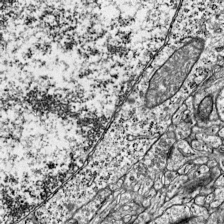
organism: Mouse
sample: Visual Cortex